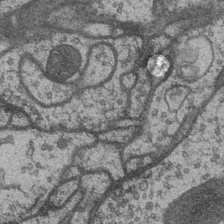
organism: Drosophila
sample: Optic medulla